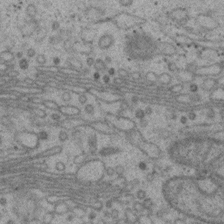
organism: Human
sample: HeLa cells